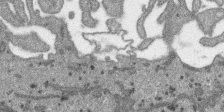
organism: Human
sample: Lung epithelial cells infected with SARS-CoV-2